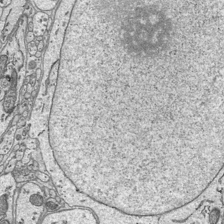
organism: Mouse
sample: Suprachiasmatic nucleus